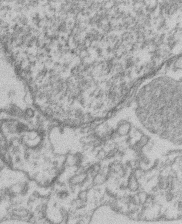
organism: Mouse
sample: T cell stromal cell synapse